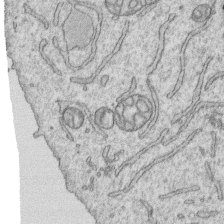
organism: Human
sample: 1205lu cells